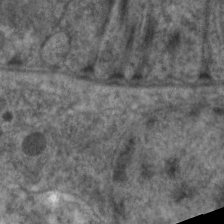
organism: C. elegans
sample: Pharynx